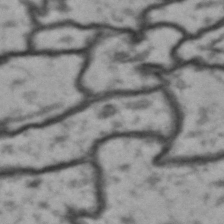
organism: Drosophila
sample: Brain